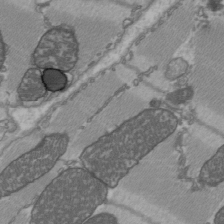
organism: C57BL Mouse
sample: Heart